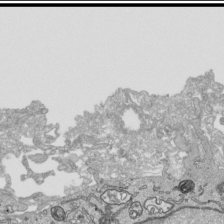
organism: Human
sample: Mitochondria in HCT116 cells